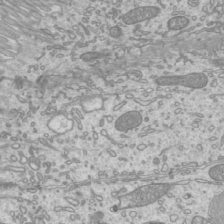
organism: Mouse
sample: Cilia; mouse epididymis